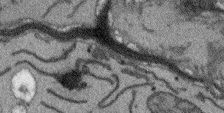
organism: Arabidopsis thaliana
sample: Root tip